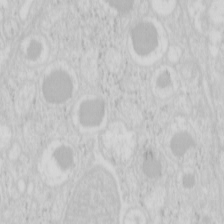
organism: Mouse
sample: Pancreas